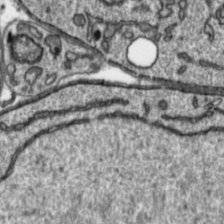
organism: Toxoplasma gondii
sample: Parasites in a vacuole inside a host cell